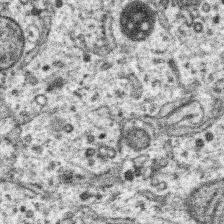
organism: Human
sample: HeLa cells